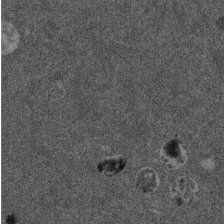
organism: Mouse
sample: Dividing mouse embryo 1 cell stage